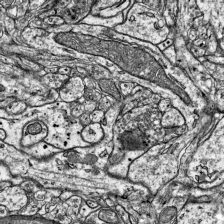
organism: Mouse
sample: Visual Cortex